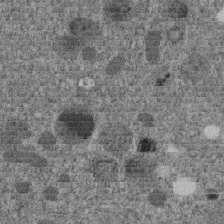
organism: C. elegans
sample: C. elegans embryo early stage